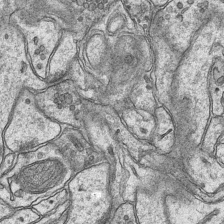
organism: Mouse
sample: CA1 Hippocampus